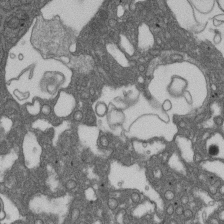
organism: Drosophila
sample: Nephrocyte